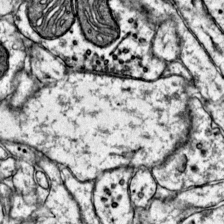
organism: Mouse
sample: Primary visual cortex